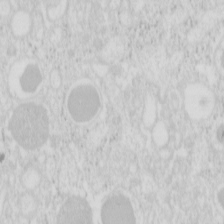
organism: Mouse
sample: Pancreas